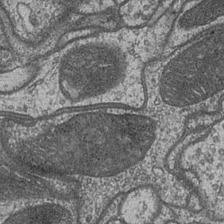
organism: Drosophila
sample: Optic medulla